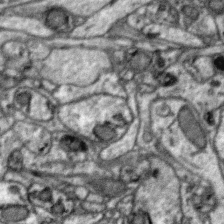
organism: Zebra finch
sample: Brain